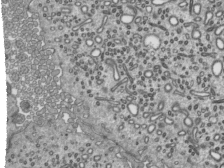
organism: Mouse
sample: Mouse epididymis efferent ductule cilia